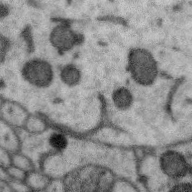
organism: Zebra finch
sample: Brain